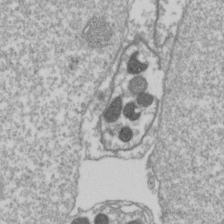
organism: Drosophila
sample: Cell division; meiosis; drosophila spermatocytes